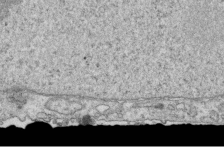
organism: Human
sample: HeLa cell HIV synapse